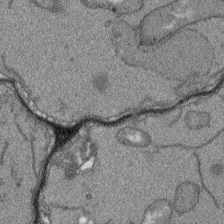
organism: Arabidopsis thaliana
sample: Root tip